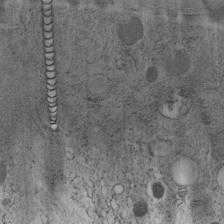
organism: C. elegans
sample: C. elegans embryo early stage